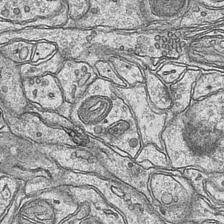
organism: Mouse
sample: CA1 Hippocampus